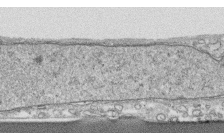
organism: Human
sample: CRL-1474